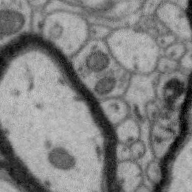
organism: Zebra finch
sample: Brain